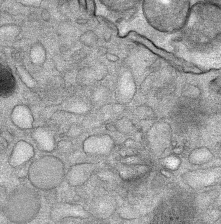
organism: Mouse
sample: Mouse Salivary gland